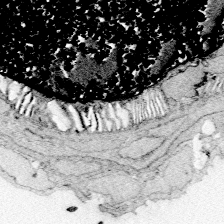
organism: Zebrafish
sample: Whole-Brain